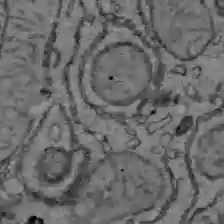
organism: C57BL Mouse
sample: Liver